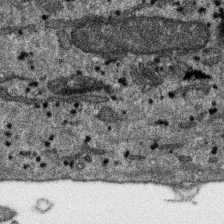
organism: Human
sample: Lung epithelial cells infected with SARS-CoV-2